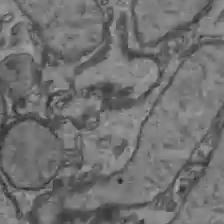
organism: C57BL Mouse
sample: Liver